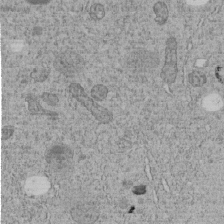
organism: C. elegans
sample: C. elegans embryo early stage